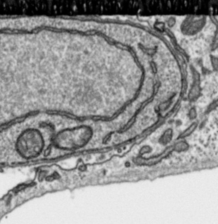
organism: Toxoplasma gondii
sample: Parasites in a vacuole inside a host cell